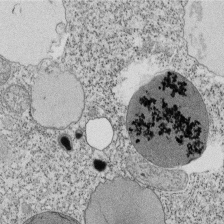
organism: Tetrahymena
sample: Cilia in tetrahymena